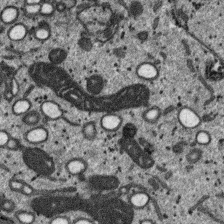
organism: Human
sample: Lung epithelial cells infected with SARS-CoV-2